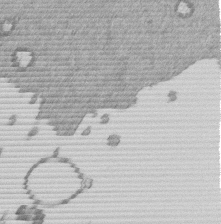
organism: Mouse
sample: Dividing mouse embryo 1 cell stage